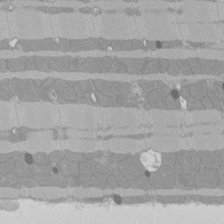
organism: Rat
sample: Left ventricle